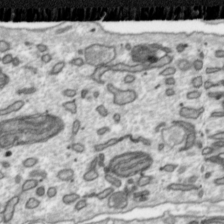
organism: Toxoplasma gondii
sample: Parasites in a vacuole inside a host cell